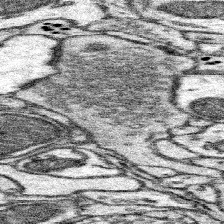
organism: Mouse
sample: Somatosensory cortex neuropil